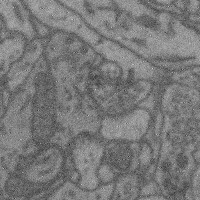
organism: Mouse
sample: Cerebral cortex